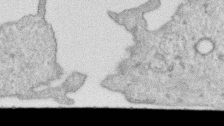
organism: Human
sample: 1205lu cells